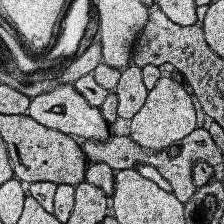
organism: Human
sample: Temporal Lobe